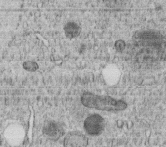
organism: C. elegans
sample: C. elegans embryo early stage